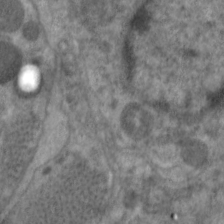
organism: C. elegans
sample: Pharynx